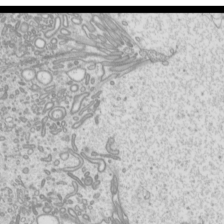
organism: Mouse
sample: Cilia; mouse epididymis